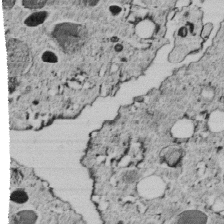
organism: C. elegans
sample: C. elegans embryo early stage